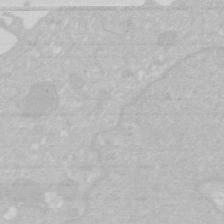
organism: Human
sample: HIV infected U937 cells